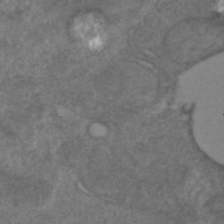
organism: C. elegans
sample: C. elegans embryo